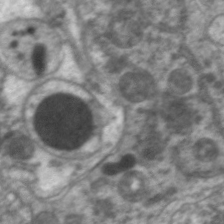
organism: C. elegans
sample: Pharynx